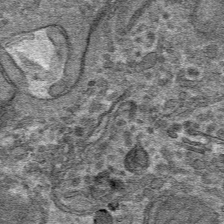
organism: Mouse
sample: Mouse hepatocytes